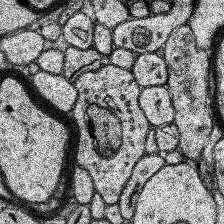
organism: Human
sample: Temporal Lobe